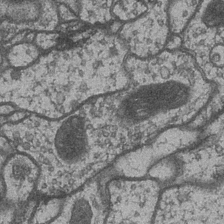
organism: Drosophila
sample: Optic medulla